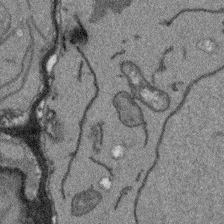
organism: Arabidopsis thaliana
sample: Root tip